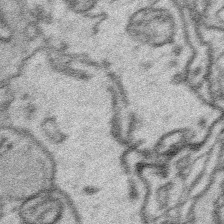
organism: Platynereis dumerilii